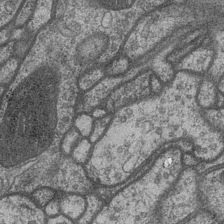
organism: Drosophila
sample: Optic medulla